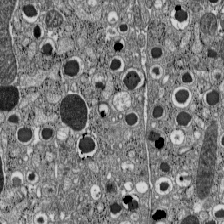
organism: C57BL Mouse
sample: Pancreatic islet